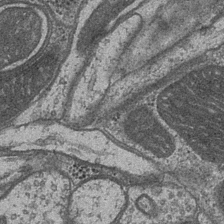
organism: Drosophila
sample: Optic medulla